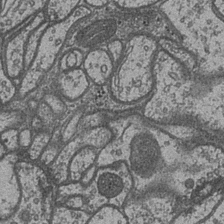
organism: Drosophila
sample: Optic medulla